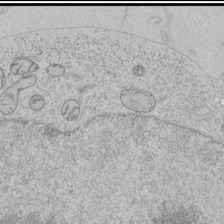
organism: Human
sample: Mitochondria in HCT116 cells